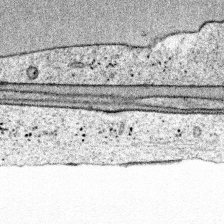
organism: Human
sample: HeLa cells